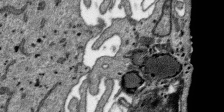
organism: Human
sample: Lung epithelial cells, uninfected (mock) control